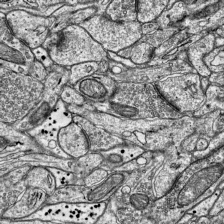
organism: Mouse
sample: Visual Cortex